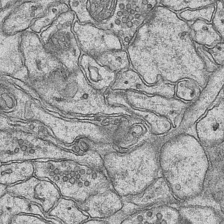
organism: Mouse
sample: CA1 Hippocampus